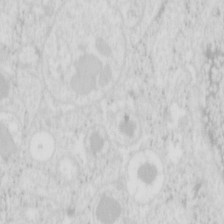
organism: Mouse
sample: Pancreas